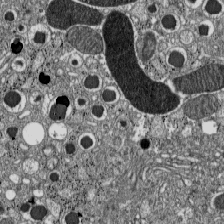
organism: C57BL Mouse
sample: Pancreatic islet